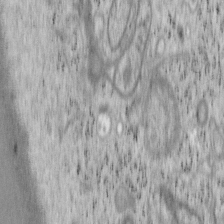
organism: Human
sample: HeLa cells